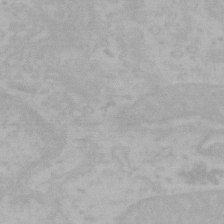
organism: Mouse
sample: Choroid plexus